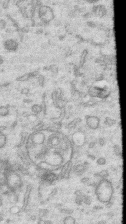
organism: Human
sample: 1205lu cells